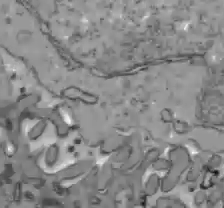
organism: C57BL Mouse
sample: Liver